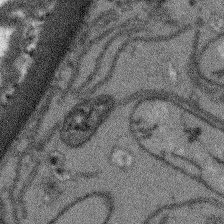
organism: Arabidopsis thaliana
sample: Root tip